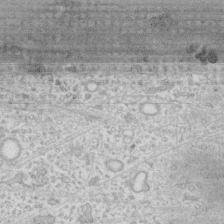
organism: Human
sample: Fibroblast cells